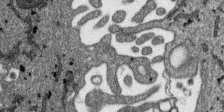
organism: Human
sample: Lung epithelial cells infected with SARS-CoV-2